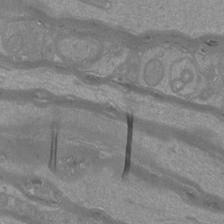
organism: Mouse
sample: Cortical neurons